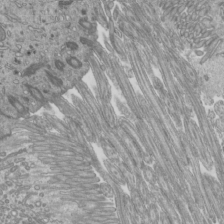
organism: Mouse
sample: Cilia; mouse epididymis